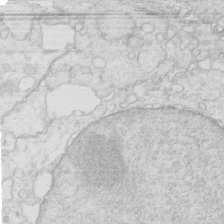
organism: Mouse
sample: Multiciliated cells